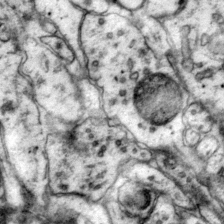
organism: Mouse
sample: Primary visual cortex